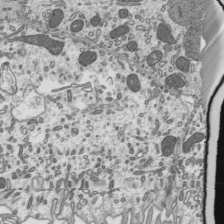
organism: Mouse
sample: Mouse epididymis efferent ductule cilia